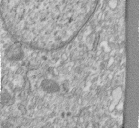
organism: Human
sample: Centriole in fibroblast cells